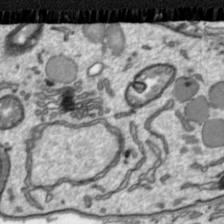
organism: Toxoplasma gondii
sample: Parasites in a vacuole inside a host cell